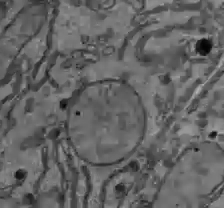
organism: C57BL Mouse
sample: Liver